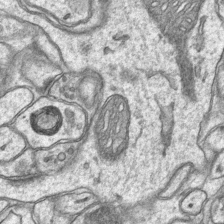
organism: Mouse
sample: CA1 Hippocampus